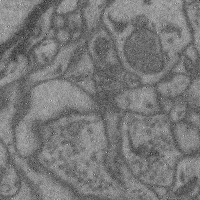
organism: Mouse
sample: Cerebral cortex